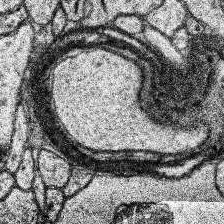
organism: Human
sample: Temporal Lobe